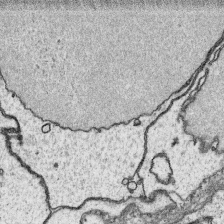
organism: Platynereis dumerilii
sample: Parapodia